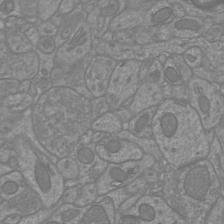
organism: Mouse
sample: Cortical neurons